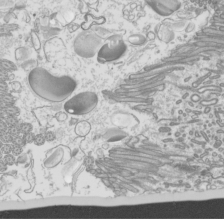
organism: Mouse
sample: Cilia; mouse epididymis